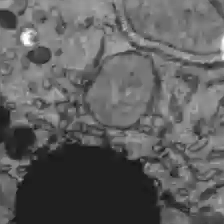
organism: C57BL Mouse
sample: Liver